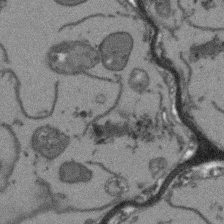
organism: Arabidopsis thaliana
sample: Root tip